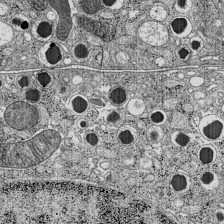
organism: C57BL Mouse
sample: Pancreatic islet